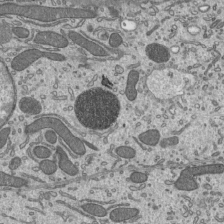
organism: Mouse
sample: Mouse epididymis efferent ductule cilia